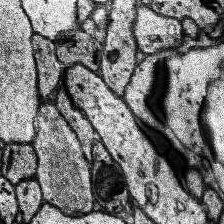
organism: Human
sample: Temporal Lobe